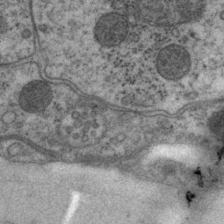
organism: P. pacificus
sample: Pharynx